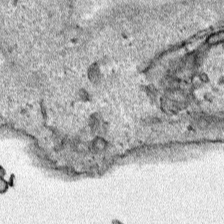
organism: Human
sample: Mitochondria in HCT116 cells